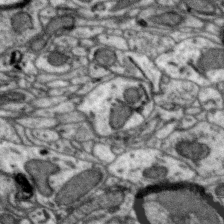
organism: Zebra finch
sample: Brain